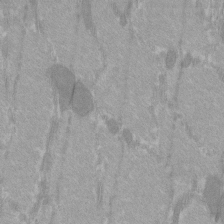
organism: C57BL Mouse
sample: Tibialis anterior muscle cell